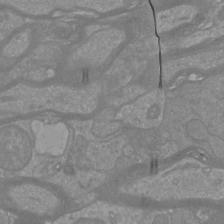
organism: Mouse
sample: Cortical neurons